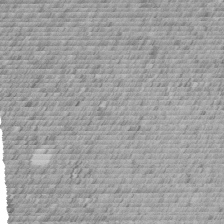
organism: C. elegans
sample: C. elegans embryo early stage